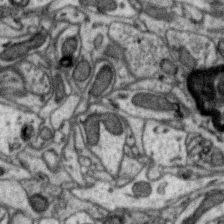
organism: Zebra finch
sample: Brain